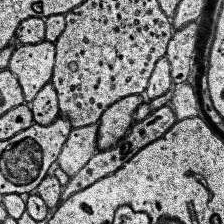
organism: Human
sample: Temporal Lobe